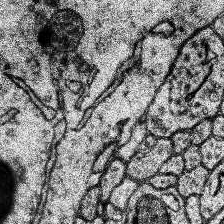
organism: Human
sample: Temporal Lobe